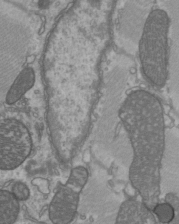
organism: C57BL Mouse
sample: Heart